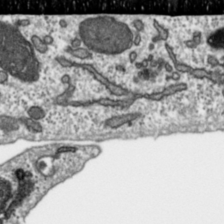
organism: Toxoplasma gondii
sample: Parasites in a vacuole inside a host cell